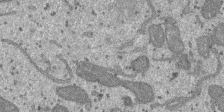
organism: Human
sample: Lung epithelial cells infected with SARS-CoV-2